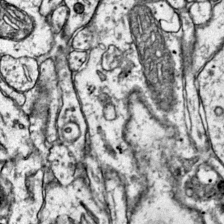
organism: Mouse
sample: Primary visual cortex